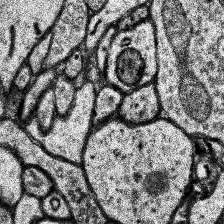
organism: Human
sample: Temporal Lobe